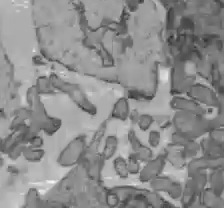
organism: C57BL Mouse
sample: Liver